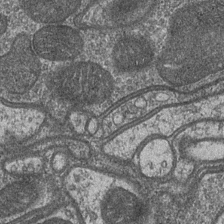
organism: Drosophila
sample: Optic medulla